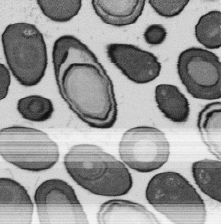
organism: B. subtilis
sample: Bacterial spore